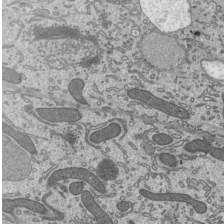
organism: Mouse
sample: Mouse epididymis efferent ductule cilia